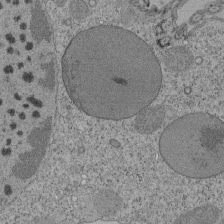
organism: Tetrahymena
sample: Cilia in tetrahymena